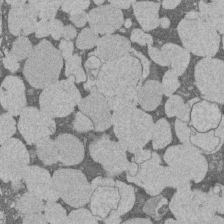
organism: Rat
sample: Salivary granule